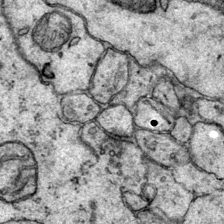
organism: Mouse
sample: Primary visual cortex